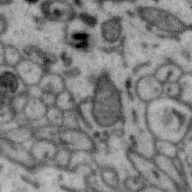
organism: Zebra finch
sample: Brain